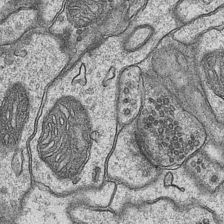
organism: Mouse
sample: CA1 Hippocampus